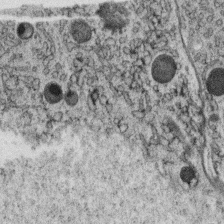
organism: C. elegans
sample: C. elegans oocyte; sperm cells